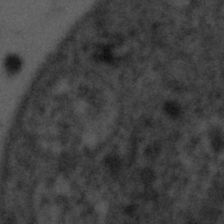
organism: Tuwongella immobilis